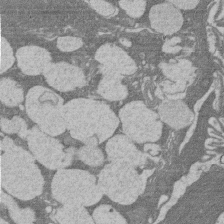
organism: Rat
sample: Salivary granule